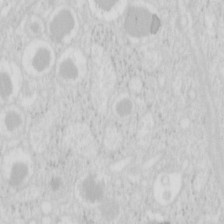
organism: Mouse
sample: Pancreas